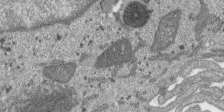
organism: Human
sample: Lung epithelial cells infected with SARS-CoV-2